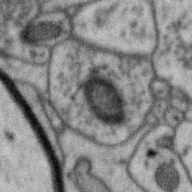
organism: Zebra finch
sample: Brain